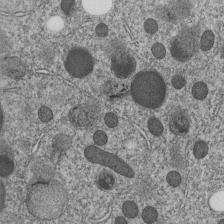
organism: C. elegans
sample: C. elegans embryo early stage